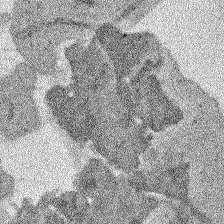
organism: Human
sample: HeLa cells